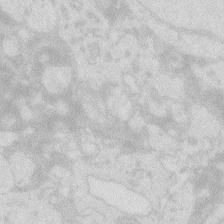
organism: Zebrafish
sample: Macrophage